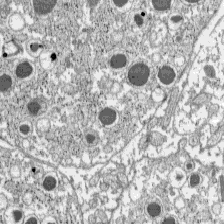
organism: C57BL Mouse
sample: Pancreatic islet